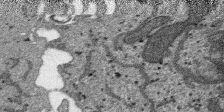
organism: Human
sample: Lung epithelial cells infected with SARS-CoV-2